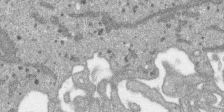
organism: Human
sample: Lung epithelial cells infected with SARS-CoV-2